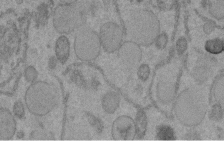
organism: C. elegans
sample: C. elegans embryo early stage